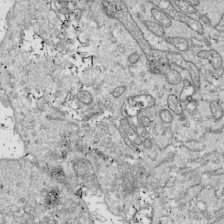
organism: Drosophila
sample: Cell division; meiosis; drosophila spermatocytes